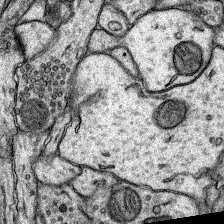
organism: Rat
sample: Hippocampus